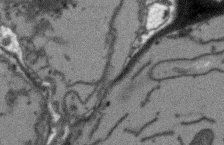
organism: Arabidopsis thaliana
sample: Root tip